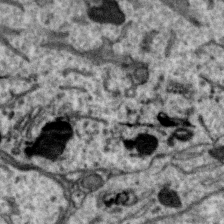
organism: Zebra finch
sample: Brain